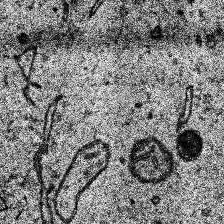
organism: Human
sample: Temporal Lobe